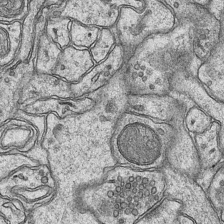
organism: Mouse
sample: CA1 Hippocampus